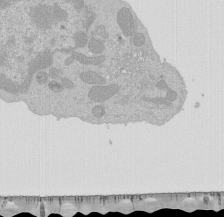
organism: Mouse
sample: Activated Pmel transgenic CD8+ T Cells